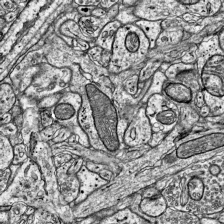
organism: Mouse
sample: Visual Cortex